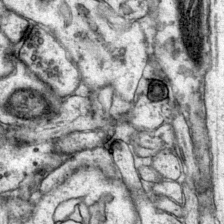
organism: Mouse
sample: Primary visual cortex